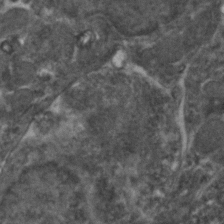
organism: Zebrafish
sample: Zebrafish embryo